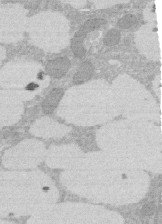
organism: Rat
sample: Salivary granule